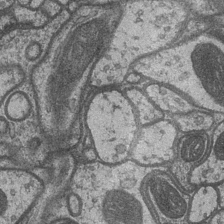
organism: Drosophila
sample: Optic medulla